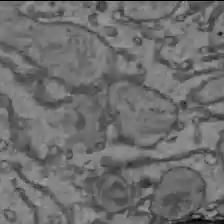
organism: C57BL Mouse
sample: Liver